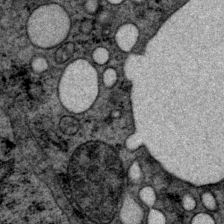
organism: P. pacificus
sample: Pharynx